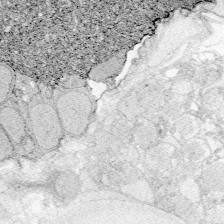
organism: Zebrafish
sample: Whole-Brain